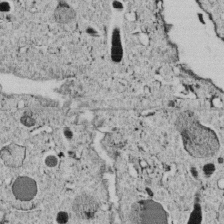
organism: C. elegans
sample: C. elegans embryo early stage